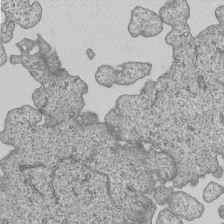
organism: Human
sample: MDA-MB-231 cells